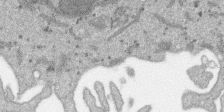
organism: Human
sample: Lung epithelial cells infected with SARS-CoV-2